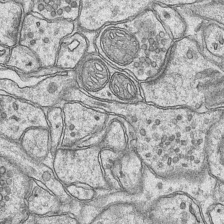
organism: Mouse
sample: CA1 Hippocampus